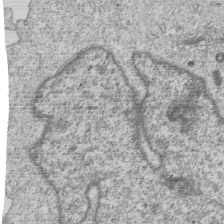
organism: Human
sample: MDA-MB-231 cells